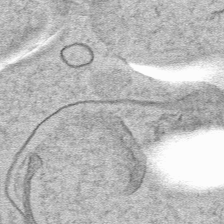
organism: Mouse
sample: Mouse hepatocytes